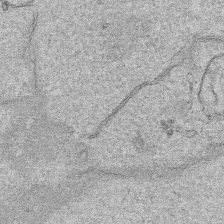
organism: Human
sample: Mitochondria in HCT116 cells